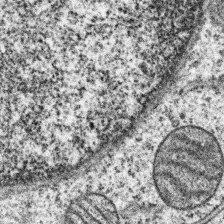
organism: Human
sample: HeLa cells